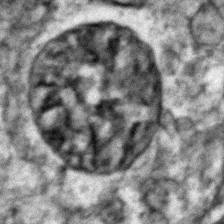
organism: Zebrafish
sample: Zebrafish embryo